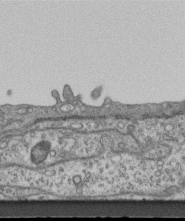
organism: Mouse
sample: Centriole in ependymal cells